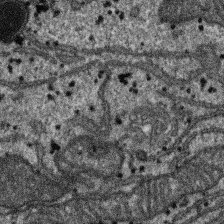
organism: Human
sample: Lung epithelial cells infected with SARS-CoV-2